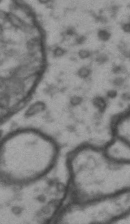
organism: Drosophila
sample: Brain